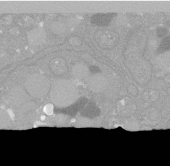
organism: C. elegans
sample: C. elegans oocyte; sperm cells